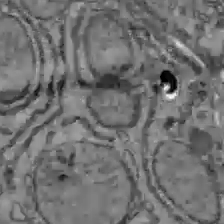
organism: C57BL Mouse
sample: Liver